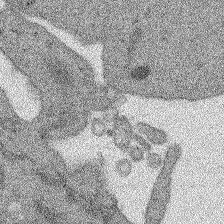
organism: Human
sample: HeLa cells